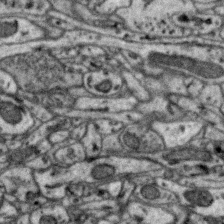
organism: Zebra finch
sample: Brain